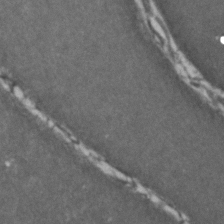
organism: Zebrafish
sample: Zebrafish embryo